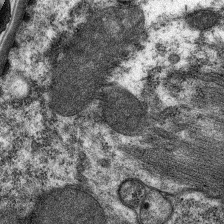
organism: C. elegans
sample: Pharynx